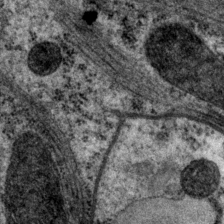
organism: P. pacificus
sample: Pharynx